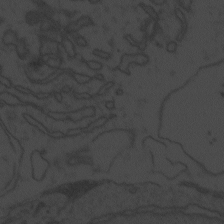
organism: Zebrafish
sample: Macrophage infected with Toxoplasma gondii